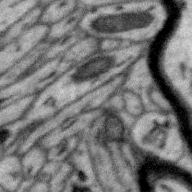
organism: Zebra finch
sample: Brain